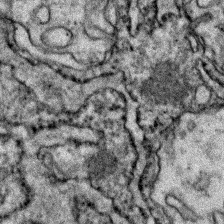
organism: Zebrafish